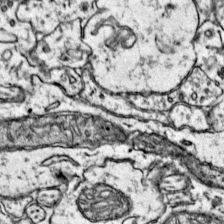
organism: Mouse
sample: Primary visual cortex